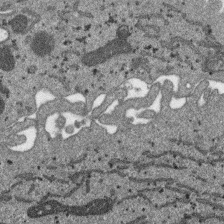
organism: Human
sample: Lung epithelial cells infected with SARS-CoV-2